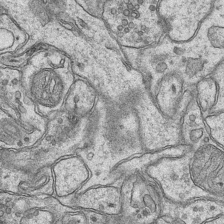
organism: Mouse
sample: CA1 Hippocampus